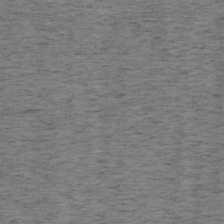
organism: Mouse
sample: OT-I killer T cells with ID8 ovarian cancer cells